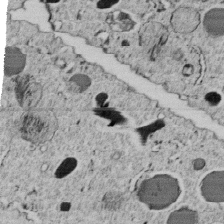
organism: C. elegans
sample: C. elegans embryo early stage